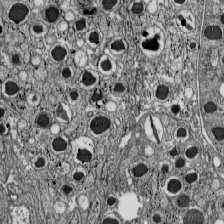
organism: C57BL Mouse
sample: Pancreatic islet